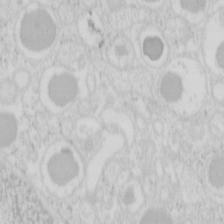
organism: Mouse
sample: Pancreas